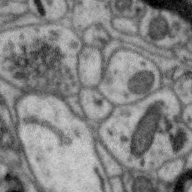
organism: Zebra finch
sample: Brain